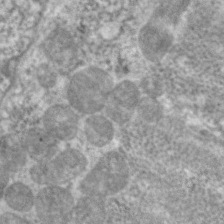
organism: C. elegans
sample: Pharynx